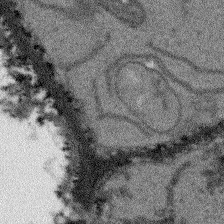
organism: Arabidopsis thaliana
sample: Root tip